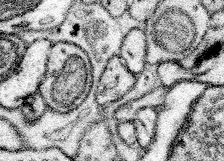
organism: Mouse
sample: Somatosensory cortex neuropil